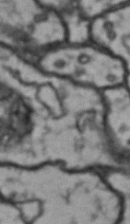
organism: Drosophila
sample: Brain